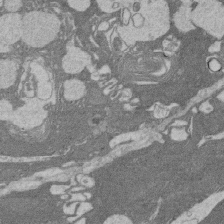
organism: Rat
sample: Salivary granule